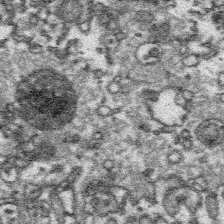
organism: Platynereis dumerilii